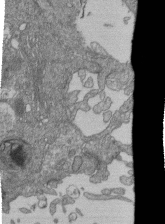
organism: Human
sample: Retinal organoid Rod and Cone cells